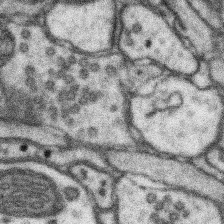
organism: Mouse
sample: Somatosensory cortex neuropil